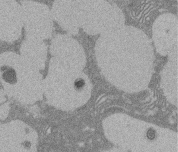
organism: Rat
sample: Salivary granule